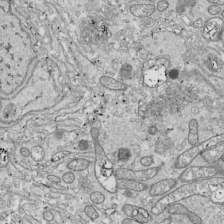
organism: Drosophila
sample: Cell division; meiosis; drosophila spermatocytes